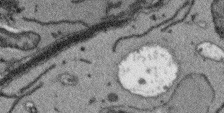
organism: Arabidopsis thaliana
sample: Root tip